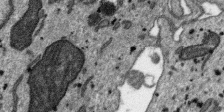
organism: Human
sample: Lung epithelial cells, uninfected (mock) control